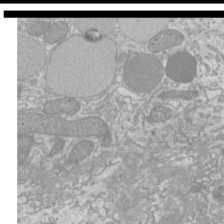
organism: Mouse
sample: Cilia; mouse epididymis